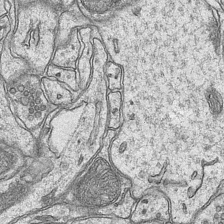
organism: Mouse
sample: CA1 Hippocampus